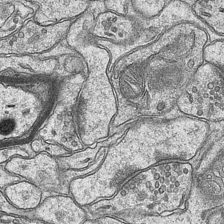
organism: Mouse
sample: CA1 Hippocampus